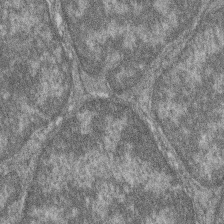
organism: Zebrafish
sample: Cilia; retinal pigment epithelium